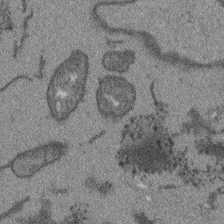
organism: Arabidopsis thaliana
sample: Root tip